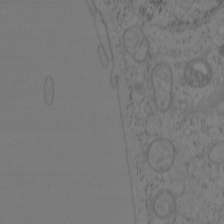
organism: Human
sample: HeLa cells